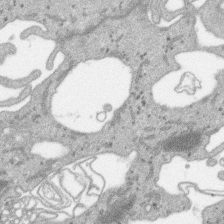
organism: Human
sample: Lung epithelial cells infected with SARS-CoV-2